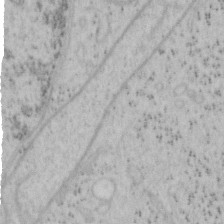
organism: Human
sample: HeLa cells